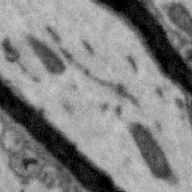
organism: Zebra finch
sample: Brain